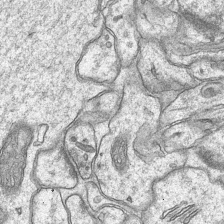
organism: Mouse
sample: CA1 Hippocampus